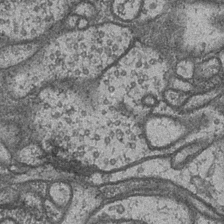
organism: Drosophila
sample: Optic medulla